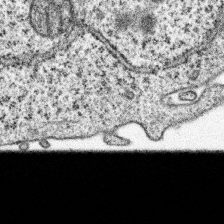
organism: Human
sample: HeLa cells